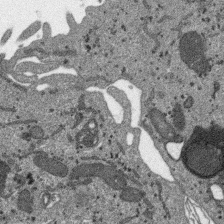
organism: Human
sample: Lung epithelial cells infected with SARS-CoV-2